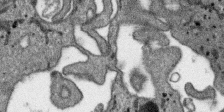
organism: Human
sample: Lung epithelial cells, uninfected (mock) control